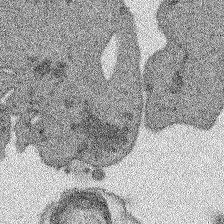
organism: Human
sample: HeLa cells